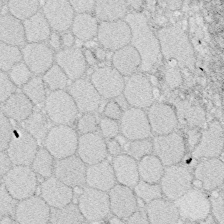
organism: Zebrafish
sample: Whole-Brain